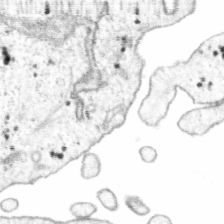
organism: Human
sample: HeLa cells